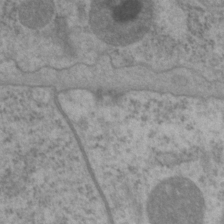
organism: P. pacificus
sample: Pharynx